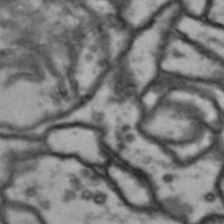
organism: Drosophila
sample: Brain